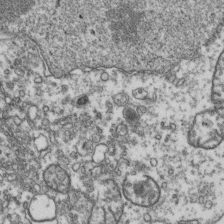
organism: Human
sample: Activated Jurkat CD4+ T cells